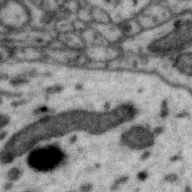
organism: Zebra finch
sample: Brain